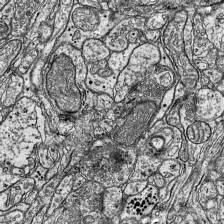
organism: Mouse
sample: Visual Cortex